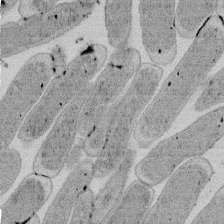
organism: E. coli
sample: Bacterial nucleoid